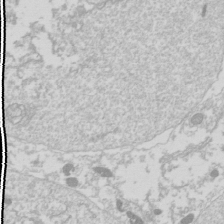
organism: Drosophila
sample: Cell division; meiosis; drosophila spermatocytes